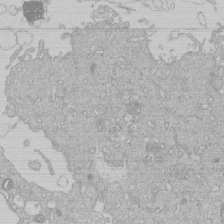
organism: Human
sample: Macrophage cells